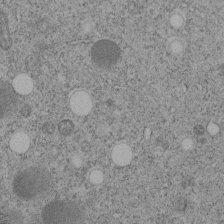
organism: C. elegans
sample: C. elegans embryo early stage